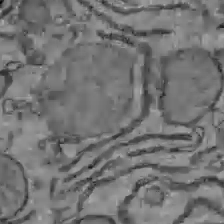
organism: C57BL Mouse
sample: Liver